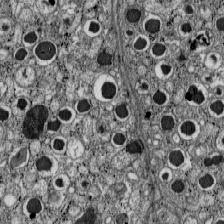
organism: C57BL Mouse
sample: Pancreatic islet